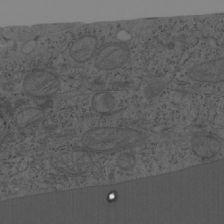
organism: Human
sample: HeLa cells